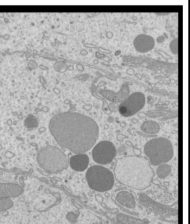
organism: Mouse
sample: Cilia; mouse epididymis